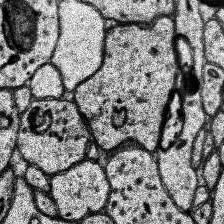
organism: Human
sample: Temporal Lobe